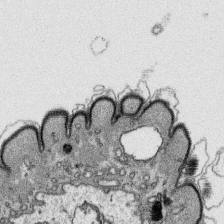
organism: Platynereis dumerilii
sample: Parapodia